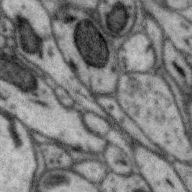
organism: Zebra finch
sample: Brain